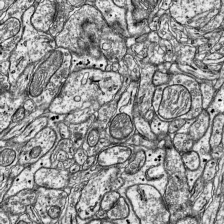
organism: Mouse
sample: Visual Cortex